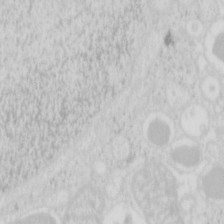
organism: Mouse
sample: Pancreas